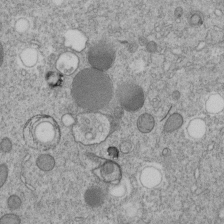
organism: C. elegans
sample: C. elegans embryo early stage